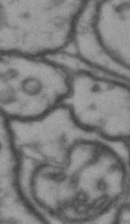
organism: Drosophila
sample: Brain